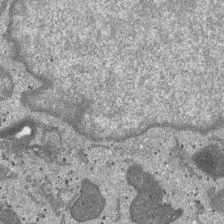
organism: Human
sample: Lung epithelial cells infected with SARS-CoV-2